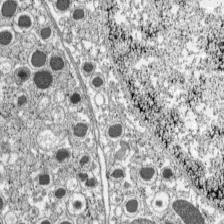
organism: C57BL Mouse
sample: Pancreatic islet